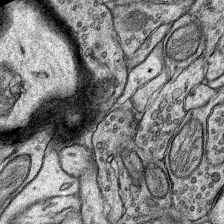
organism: Rat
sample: Hippocampus